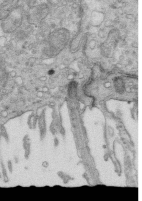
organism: Mouse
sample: Multiciliated cells